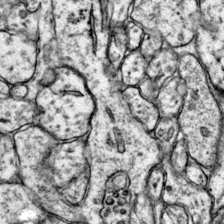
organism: Mouse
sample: Primary visual cortex